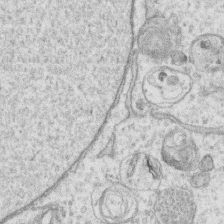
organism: Human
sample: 1205lu cells